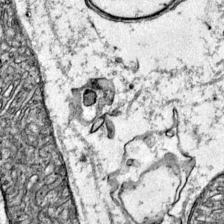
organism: Mouse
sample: Primary visual cortex